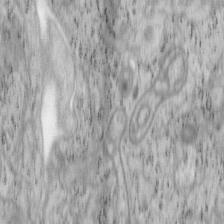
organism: Human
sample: HeLa cells